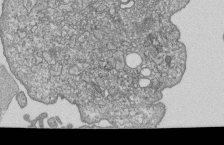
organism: Human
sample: MDA-MB-231 cells